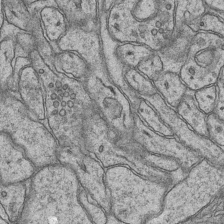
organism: Mouse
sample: CA1 Hippocampus